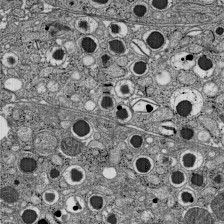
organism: C57BL Mouse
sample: Pancreatic islet